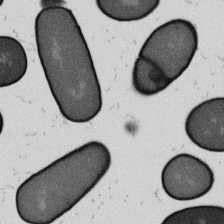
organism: B. subtilis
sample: Bacterial spore